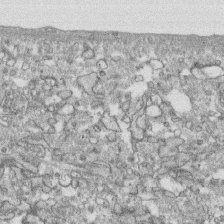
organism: Human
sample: CRL-1474